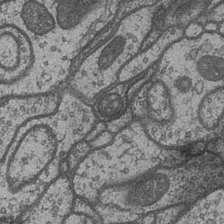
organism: Drosophila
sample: Optic medulla